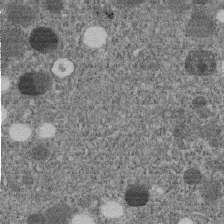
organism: C. elegans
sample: C. elegans embryo early stage